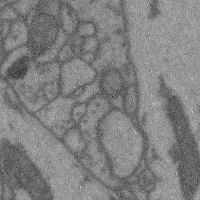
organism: Mouse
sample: Cerebral cortex